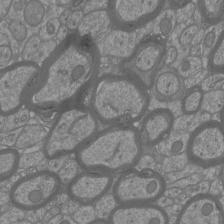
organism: Mouse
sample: Cortical neurons